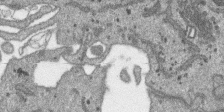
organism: Human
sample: Lung epithelial cells infected with SARS-CoV-2